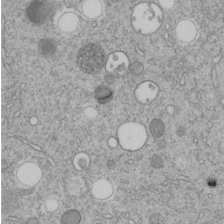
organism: C. elegans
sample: C. elegans embryo early stage